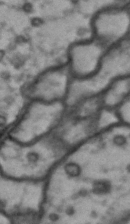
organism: Drosophila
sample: Brain